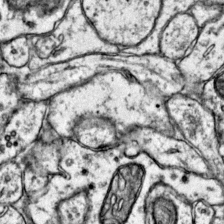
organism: Mouse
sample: Primary visual cortex